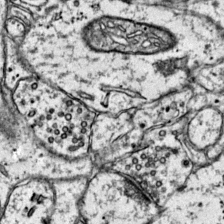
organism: Mouse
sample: Primary visual cortex